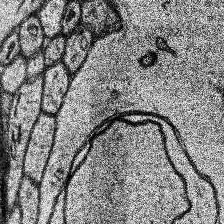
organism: Human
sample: Temporal Lobe